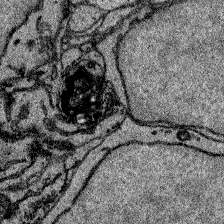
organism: Zebrafish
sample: Larval olfactory bulb